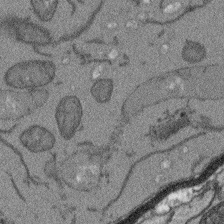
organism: Arabidopsis thaliana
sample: Root tip